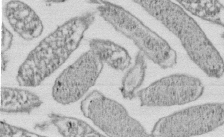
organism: E. coli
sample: Bacterial nucleoid